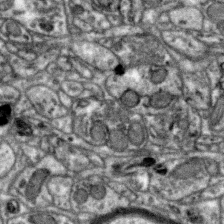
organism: Zebra finch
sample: Brain